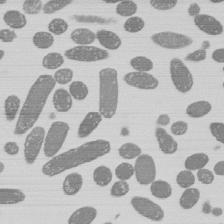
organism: E. coli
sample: Bacterial nucleoid